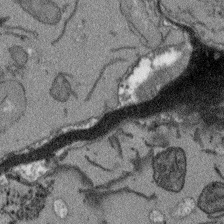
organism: Arabidopsis thaliana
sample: Root tip